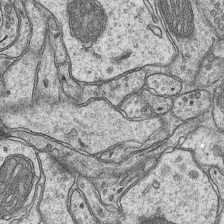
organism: Mouse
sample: CA1 Hippocampus